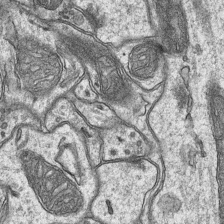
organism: Mouse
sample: CA1 Hippocampus